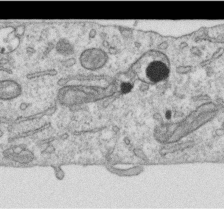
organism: Human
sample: Centriole in RPE cells